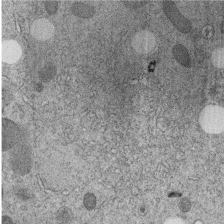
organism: C. elegans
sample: C. elegans embryo early stage